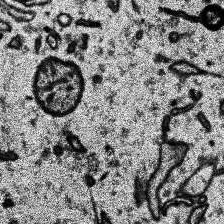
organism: Human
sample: Temporal Lobe